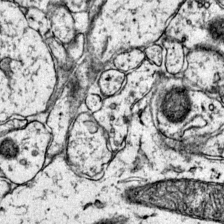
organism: Mouse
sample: Primary visual cortex